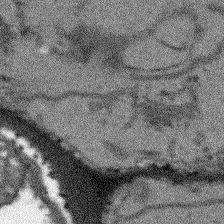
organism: Arabidopsis thaliana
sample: Root tip